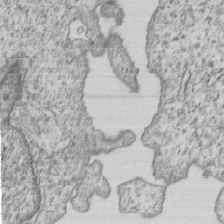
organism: Human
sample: MDA-MB-231 cells